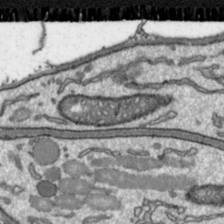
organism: Toxoplasma gondii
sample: Parasites in a vacuole inside a host cell